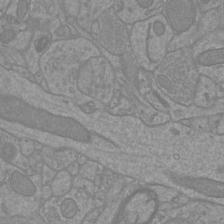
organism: Mouse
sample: Cortical neurons